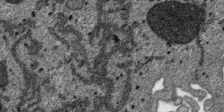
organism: Human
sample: Lung epithelial cells infected with SARS-CoV-2